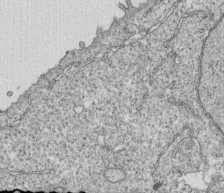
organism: Human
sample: HeLa cell HIV synapse